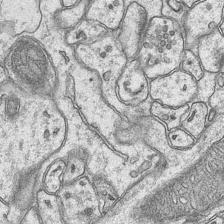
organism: Mouse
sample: CA1 Hippocampus